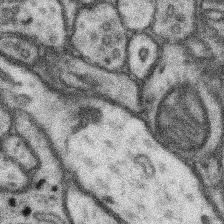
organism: Mouse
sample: Somatosensory cortex neuropil